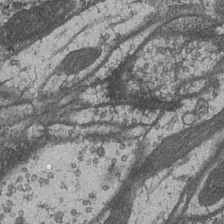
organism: Drosophila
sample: Optic medulla